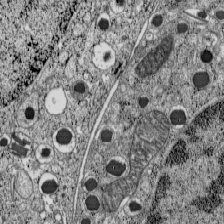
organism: C57BL Mouse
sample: Pancreatic islet